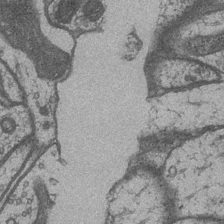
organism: Drosophila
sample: Optic medulla